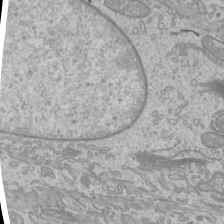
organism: Mouse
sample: Cilia; mouse epididymis